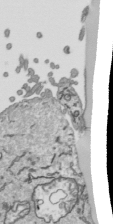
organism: Human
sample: Mitochondria in HCT116 cells